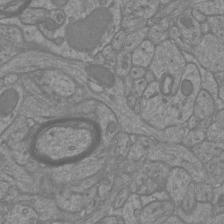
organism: Mouse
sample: Cortical neurons